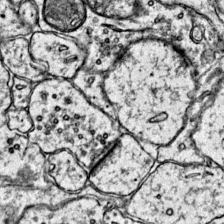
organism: Mouse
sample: Primary visual cortex